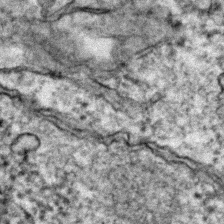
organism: Zebrafish